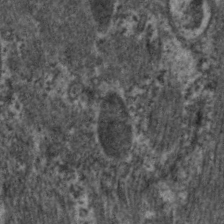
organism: C. elegans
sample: Pharynx